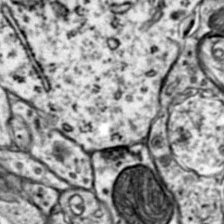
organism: Mouse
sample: Primary visual cortex